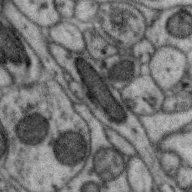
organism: Zebra finch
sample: Brain